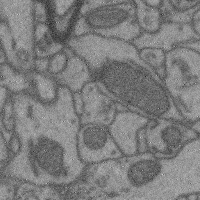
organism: Mouse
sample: Cerebral cortex